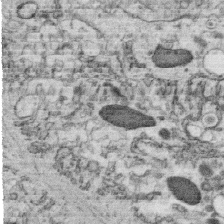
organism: C. elegans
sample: C. elegans oocyte; sperm cells